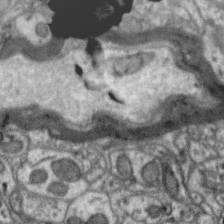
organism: Zebra finch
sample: Brain